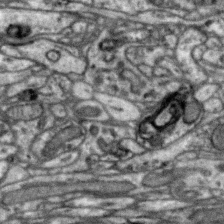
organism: Zebra finch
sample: Brain